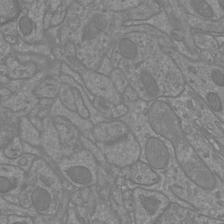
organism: Mouse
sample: Cortical neurons